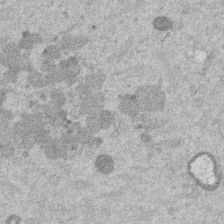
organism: Mouse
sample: Dividing mouse embryo 1 cell stage